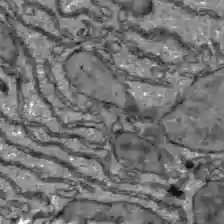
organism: C57BL Mouse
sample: Liver